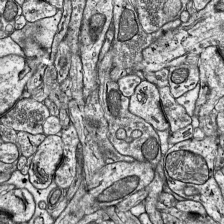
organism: Mouse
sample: Visual Cortex